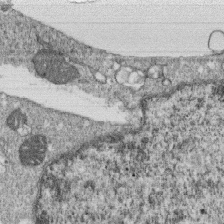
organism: African green monkey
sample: Vero E6 cells infected with SARS-CoV-2